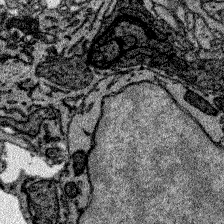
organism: Zebrafish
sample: Larval olfactory bulb